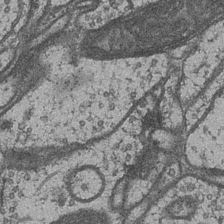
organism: Drosophila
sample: Optic medulla